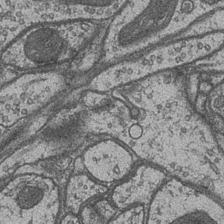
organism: Drosophila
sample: Optic medulla